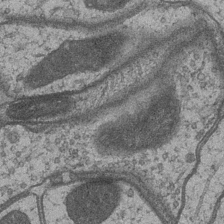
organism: Drosophila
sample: Optic medulla